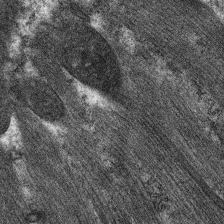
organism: C. elegans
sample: Pharynx